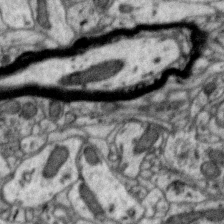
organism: Zebra finch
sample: Brain